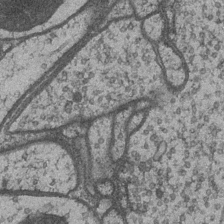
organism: Drosophila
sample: Optic medulla